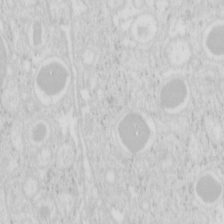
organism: Mouse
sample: Pancreas